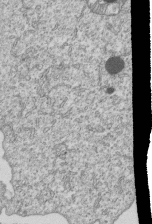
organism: Human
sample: MDA-MB-231 cells